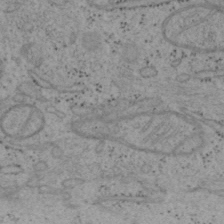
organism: Human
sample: HeLa cells